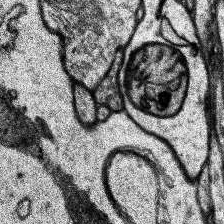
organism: Human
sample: Temporal Lobe